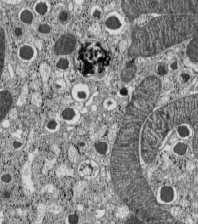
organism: C57BL Mouse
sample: Pancreatic islet